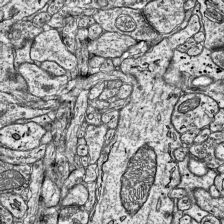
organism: Mouse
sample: Visual Cortex